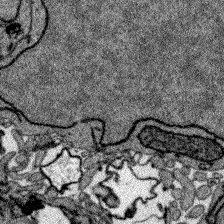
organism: Zebrafish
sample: Larval olfactory bulb